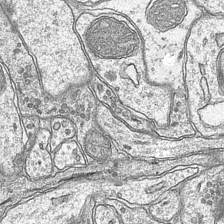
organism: Mouse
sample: CA1 Hippocampus